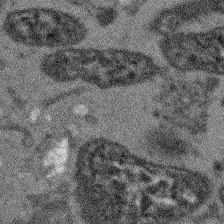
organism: Arabidopsis thaliana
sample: Root tip